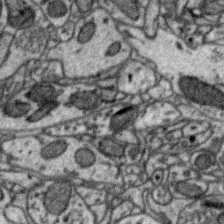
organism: Zebra finch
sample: Brain